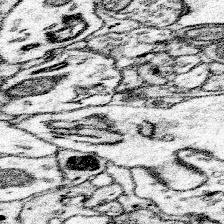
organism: Mouse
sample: Somatosensory cortex neuropil